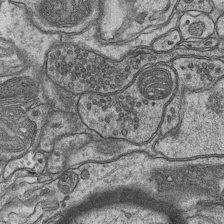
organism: Mouse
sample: CA1 Hippocampus